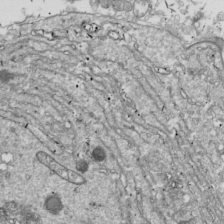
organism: Drosophila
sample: Cell division; meiosis; drosophila spermatocytes